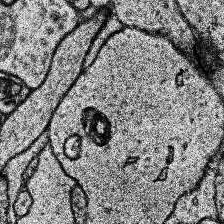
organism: Human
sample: Temporal Lobe